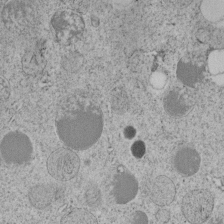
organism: C. elegans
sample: C. elegans embryo early stage